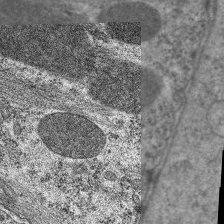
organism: C. elegans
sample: Pharynx